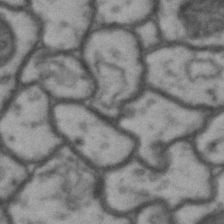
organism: Drosophila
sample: Brain